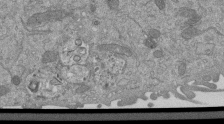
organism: Mouse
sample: ED-1 cell nuclei; centrioles